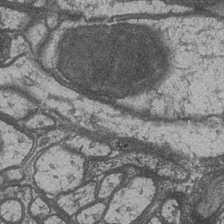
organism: Drosophila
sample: Optic medulla